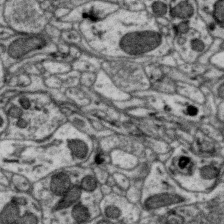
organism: Zebra finch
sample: Brain